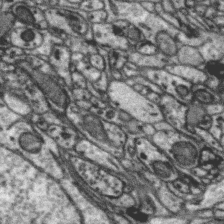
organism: Zebra finch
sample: Brain